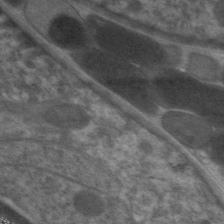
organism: C. elegans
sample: Pharynx